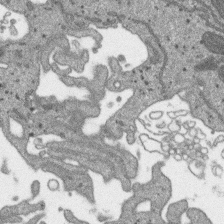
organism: Human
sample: Lung epithelial cells infected with SARS-CoV-2